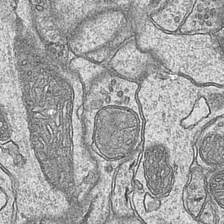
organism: Mouse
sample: CA1 Hippocampus